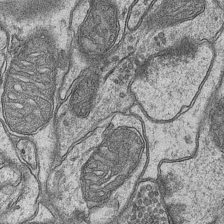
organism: Mouse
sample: CA1 Hippocampus